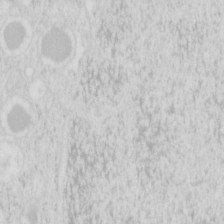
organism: Mouse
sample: Pancreas